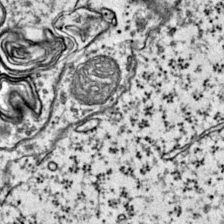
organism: Mouse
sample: Primary visual cortex